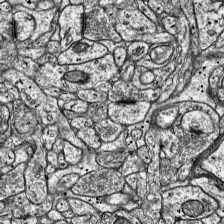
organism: Mouse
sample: Visual Cortex